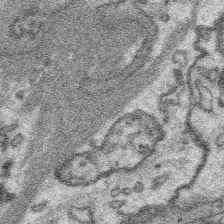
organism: Platynereis dumerilii